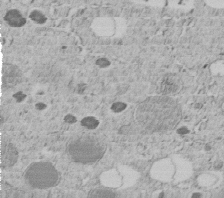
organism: C. elegans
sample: C. elegans embryo early stage